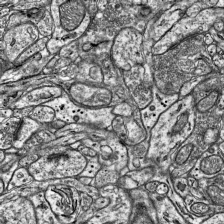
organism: Mouse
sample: Visual Cortex